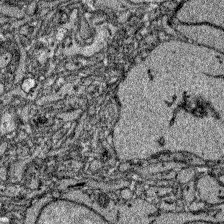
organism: Zebrafish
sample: Larval olfactory bulb